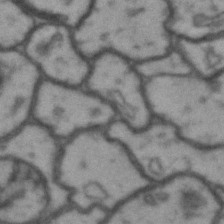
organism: Drosophila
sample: Brain